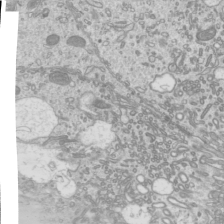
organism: Mouse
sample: Cilia; mouse epididymis